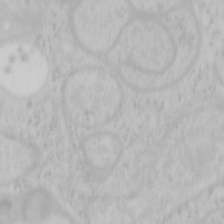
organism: Mouse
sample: OT-I killer T cells with ID8 ovarian cancer cells